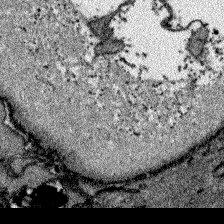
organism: Zebrafish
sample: Larval olfactory bulb